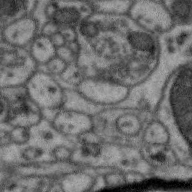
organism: Zebra finch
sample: Brain